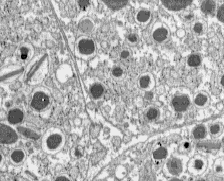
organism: C57BL Mouse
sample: Pancreatic islet